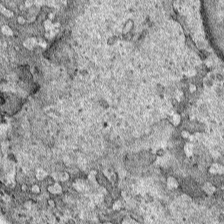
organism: Human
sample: Mitochondria in HCT116 cells